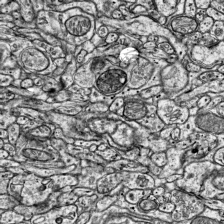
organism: Mouse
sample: Visual Cortex